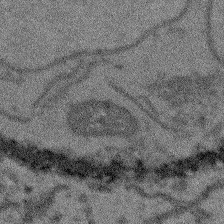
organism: Arabidopsis thaliana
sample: Root tip